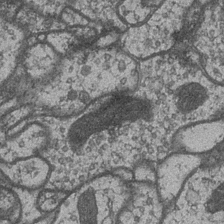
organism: Drosophila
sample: Optic medulla